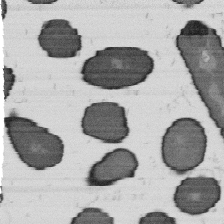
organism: B. subtilis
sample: Bacterial spore